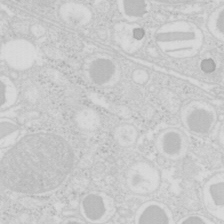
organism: Mouse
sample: Pancreas